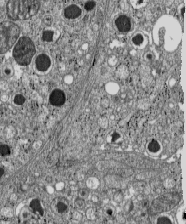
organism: C57BL Mouse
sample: Pancreatic islet